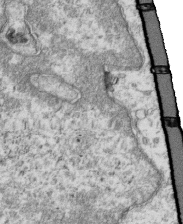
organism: Mouse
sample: Activated OT-1 CD8+ T cells